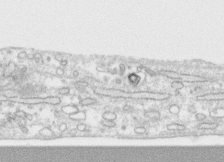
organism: Human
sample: CRL-1474